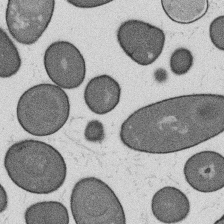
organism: B. subtilis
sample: Bacterial spore